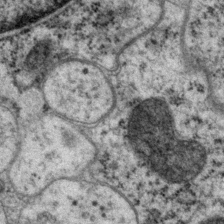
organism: P. pacificus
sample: Pharynx